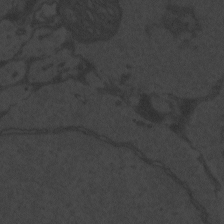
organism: Zebrafish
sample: Macrophage infected with Toxoplasma gondii